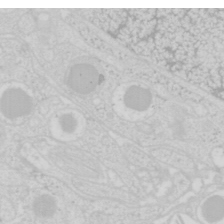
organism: Mouse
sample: Pancreas